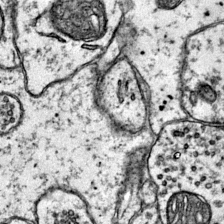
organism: Mouse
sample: Primary visual cortex